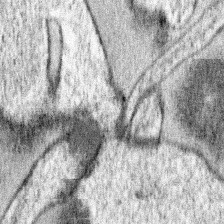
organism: Human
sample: HeLa cells